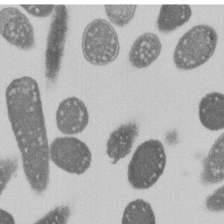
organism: E. coli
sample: Bacterial nucleoid